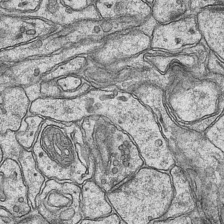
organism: Mouse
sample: CA1 Hippocampus